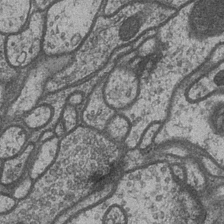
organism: Drosophila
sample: Optic medulla